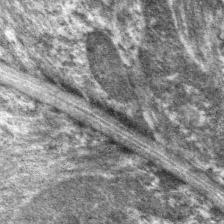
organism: C. elegans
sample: Pharynx